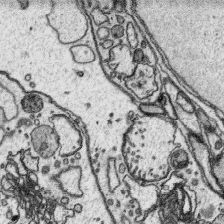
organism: Platynereis dumerilii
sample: Parapodia